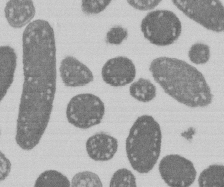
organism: E. coli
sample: Bacterial nucleoid